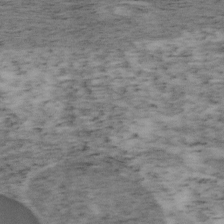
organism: Mouse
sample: OT-I killer T cells with ID8 ovarian cancer cells